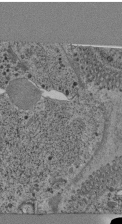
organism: C. elegans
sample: C. elegans pharynx